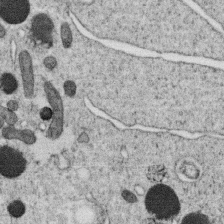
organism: C. elegans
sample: C. elegans oocyte; sperm cells